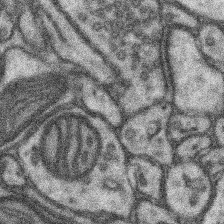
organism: Mouse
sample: Somatosensory cortex neuropil